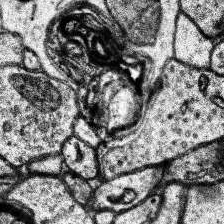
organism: Human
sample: Temporal Lobe